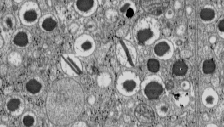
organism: C57BL Mouse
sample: Pancreatic islet